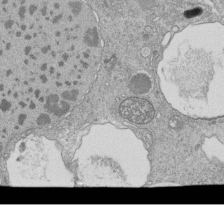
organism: Tetrahymena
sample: Cilia in tetrahymena